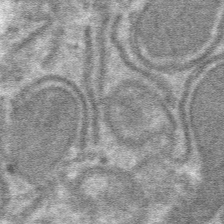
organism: Mouse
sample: Mouse hepatocytes